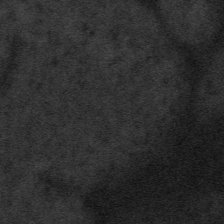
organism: Tuwongella immobilis